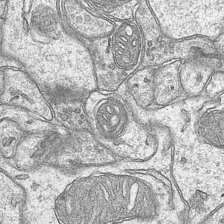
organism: Mouse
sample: CA1 Hippocampus